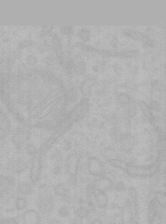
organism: Mouse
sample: Choroid plexus